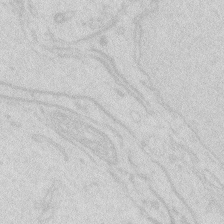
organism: Zebrafish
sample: Macrophage